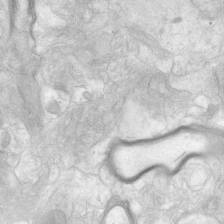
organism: Human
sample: Neocortex